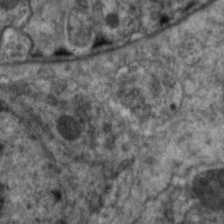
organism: C. elegans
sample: Pharynx